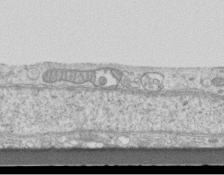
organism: Mouse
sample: Centriole in ependymal cells